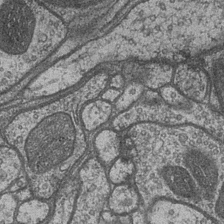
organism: Drosophila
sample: Optic medulla